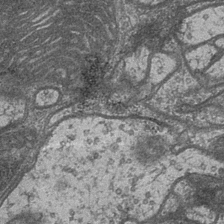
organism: Drosophila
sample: Optic medulla